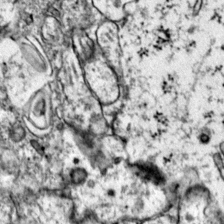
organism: Mouse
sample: Primary visual cortex